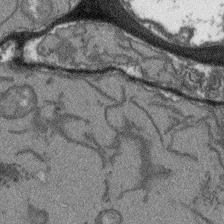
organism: Arabidopsis thaliana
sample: Root tip